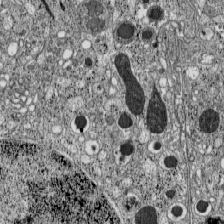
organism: C57BL Mouse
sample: Pancreatic islet